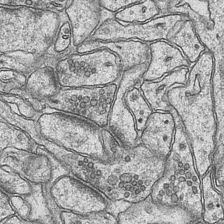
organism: Mouse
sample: CA1 Hippocampus